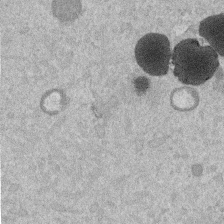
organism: Mouse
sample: Dividing mouse embryo 1 cell stage